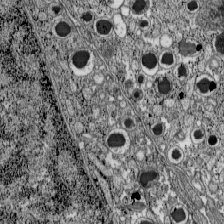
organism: C57BL Mouse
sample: Pancreatic islet